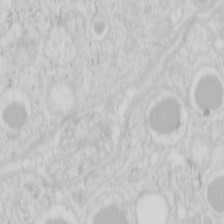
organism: Mouse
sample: Pancreas